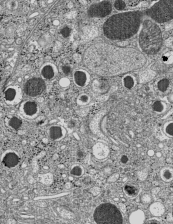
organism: C57BL Mouse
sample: Pancreatic islet